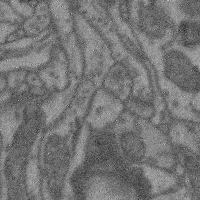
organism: Mouse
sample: Cerebral cortex